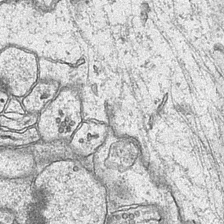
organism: Mouse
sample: CA1 Hippocampus